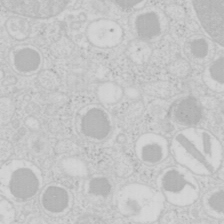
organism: Mouse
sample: Pancreas